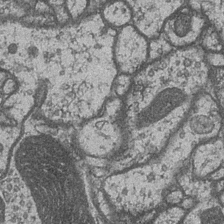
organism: Drosophila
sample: Optic medulla